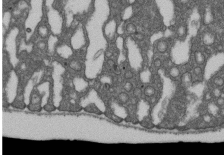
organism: Drosophila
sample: Nephrocyte